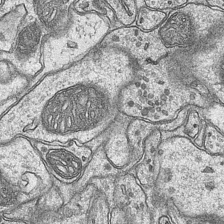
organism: Mouse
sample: CA1 Hippocampus